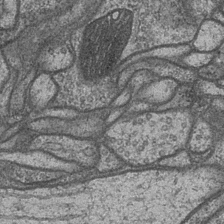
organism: Drosophila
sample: Optic medulla